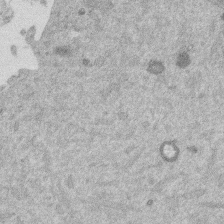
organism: Mouse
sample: Dividing mouse embryo 1 cell stage